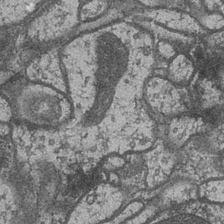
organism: Drosophila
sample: Optic medulla